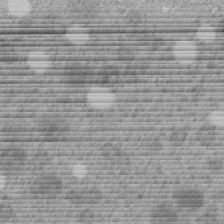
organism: C. elegans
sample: C. elegans embryo early stage